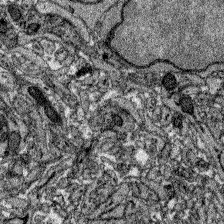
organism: Zebrafish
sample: Larval olfactory bulb